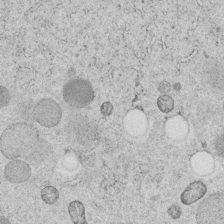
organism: C. elegans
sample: C. elegans embryo early stage